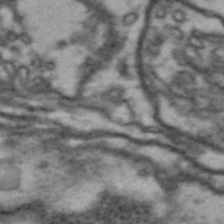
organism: Drosophila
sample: Brain